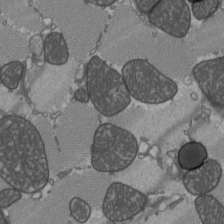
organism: C57BL Mouse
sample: Heart